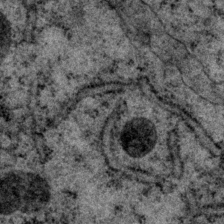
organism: P. pacificus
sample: Pharynx